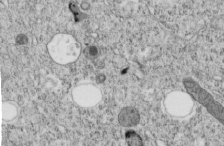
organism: C. elegans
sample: C. elegans embryo early stage